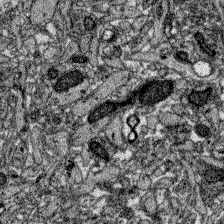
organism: Zebrafish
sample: Larval olfactory bulb